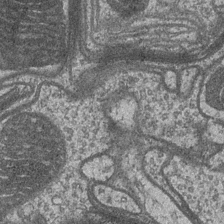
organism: Drosophila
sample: Optic medulla